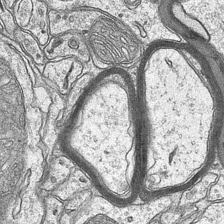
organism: Mouse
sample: CA1 Hippocampus